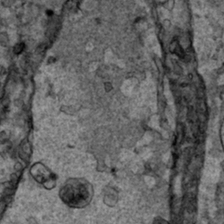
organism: Human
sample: Mitochondria in HCT116 cells